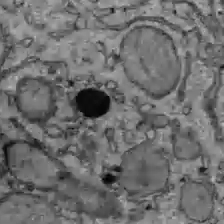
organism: C57BL Mouse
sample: Liver